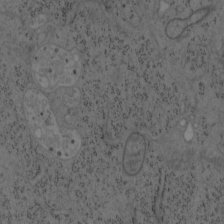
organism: Mouse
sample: OT-I killer T cells with ID8 ovarian cancer cells